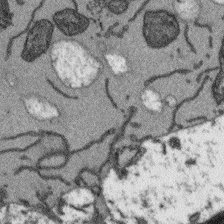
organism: Arabidopsis thaliana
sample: Root tip